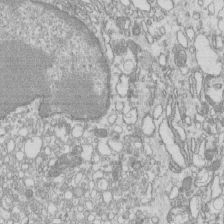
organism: Mouse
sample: Macrophages